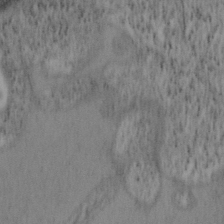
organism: Mouse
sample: OT-I killer T cells with ID8 ovarian cancer cells